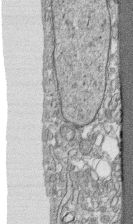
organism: Human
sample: CRL-1474